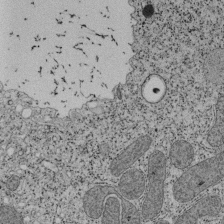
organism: Tetrahymena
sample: Cilia in tetrahymena